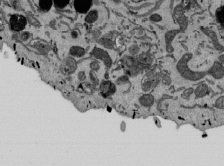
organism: Mouse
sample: ED-1 cell nuclei; centrioles